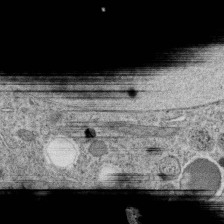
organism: C. elegans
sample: C. elegans oocyte; sperm cells